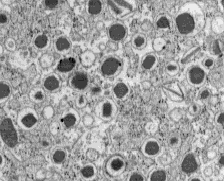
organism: C57BL Mouse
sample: Pancreatic islet